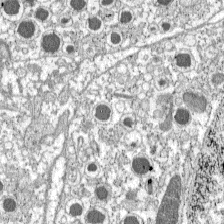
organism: C57BL Mouse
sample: Pancreatic islet